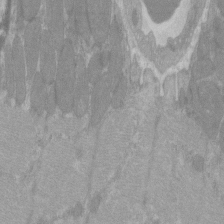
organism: C57BL Mouse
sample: Tibialis anterior muscle cell